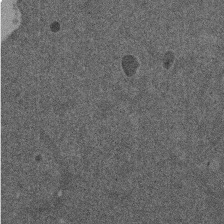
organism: Mouse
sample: Dividing mouse embryo 1 cell stage